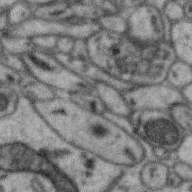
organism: Zebra finch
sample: Brain